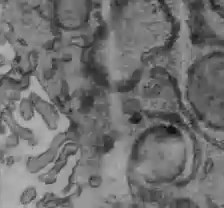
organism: C57BL Mouse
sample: Liver